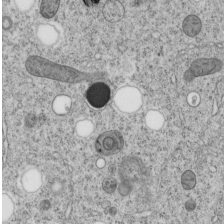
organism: C. elegans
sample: C. elegans embryo early stage